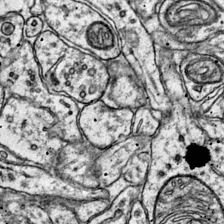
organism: Mouse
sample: Primary visual cortex